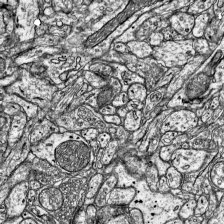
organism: Mouse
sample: Visual Cortex